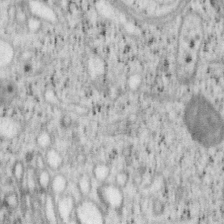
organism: Mouse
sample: OT-I killer T cells with ID8 ovarian cancer cells